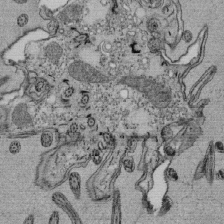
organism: Tetrahymena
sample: Cilia in tetrahymena